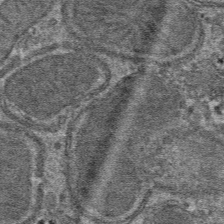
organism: Mouse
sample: Mouse hepatocytes